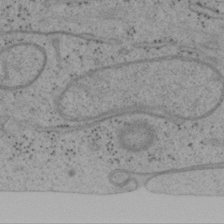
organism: Human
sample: HeLa cells